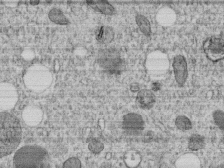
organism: C. elegans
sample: C. elegans embryo early stage